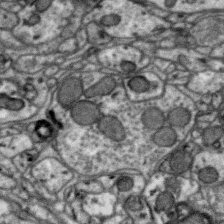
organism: Zebra finch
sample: Brain